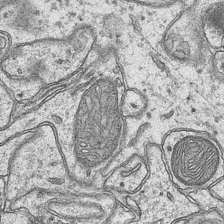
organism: Mouse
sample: CA1 Hippocampus